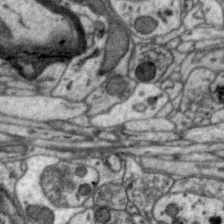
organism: Zebra finch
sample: Brain